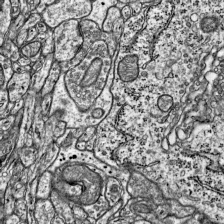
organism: Mouse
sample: Visual Cortex